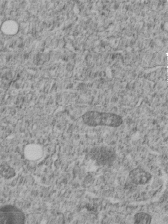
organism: C. elegans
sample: C. elegans embryo early stage